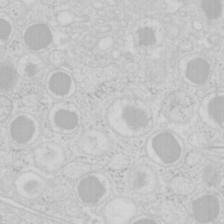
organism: Mouse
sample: Pancreas